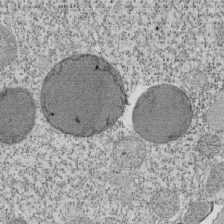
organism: Tetrahymena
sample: Cilia in tetrahymena